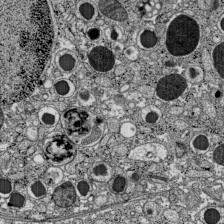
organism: C57BL Mouse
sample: Pancreatic islet